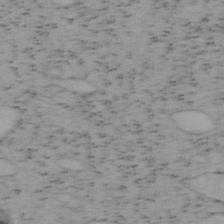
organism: Mouse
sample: OT-I killer T cells with ID8 ovarian cancer cells